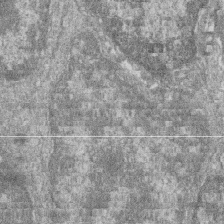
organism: Zebrafish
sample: Cilia; retinal pigment epithelium